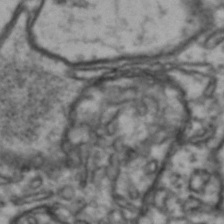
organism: Drosophila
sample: Brain